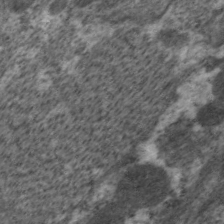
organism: C. elegans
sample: Pharynx